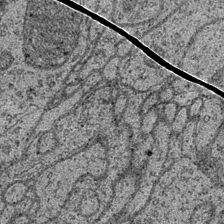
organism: Drosophila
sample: Optic medulla